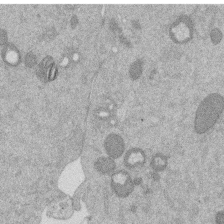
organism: Mouse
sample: Dividing mouse embryo 1 cell stage